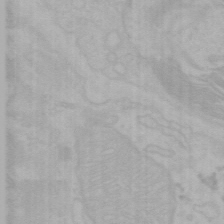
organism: Mouse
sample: Choroid plexus